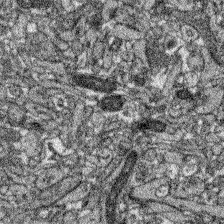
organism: Zebrafish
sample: Larval olfactory bulb